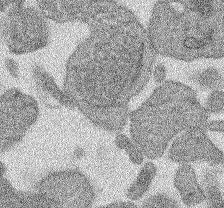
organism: Human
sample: HeLa cells